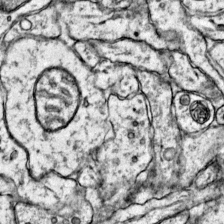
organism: Mouse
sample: Primary visual cortex